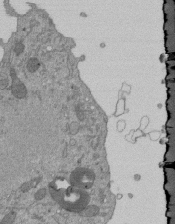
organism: Mouse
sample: ED-1 cell nuclei; centrioles